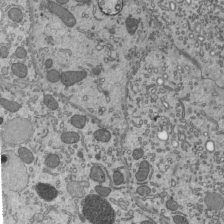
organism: Mouse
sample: Mouse epididymis efferent ductule cilia